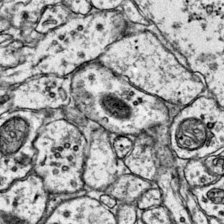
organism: Mouse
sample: Primary visual cortex